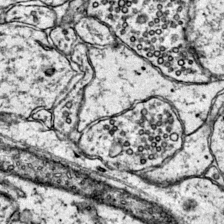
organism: Mouse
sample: Primary visual cortex